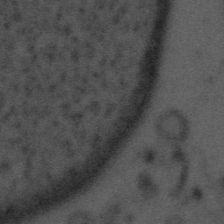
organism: Tuwongella immobilis